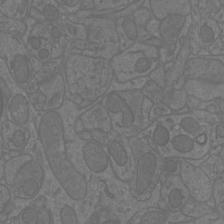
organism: Mouse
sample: Cortical neurons